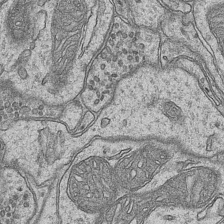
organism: Mouse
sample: CA1 Hippocampus